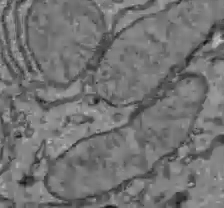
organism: C57BL Mouse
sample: Liver